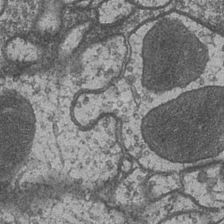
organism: Drosophila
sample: Optic medulla